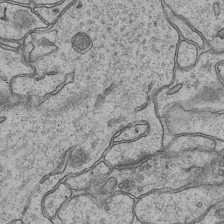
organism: Mouse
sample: CA1 Hippocampus